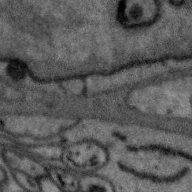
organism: Zebra finch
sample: Brain